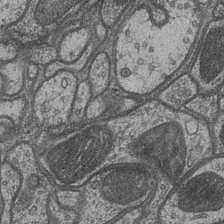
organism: Drosophila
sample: Optic medulla